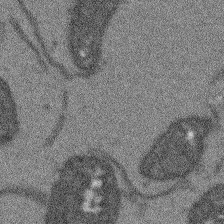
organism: Arabidopsis thaliana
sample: Root tip